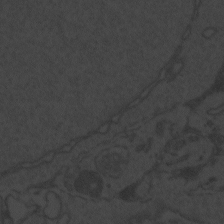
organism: Zebrafish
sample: Macrophage infected with Toxoplasma gondii